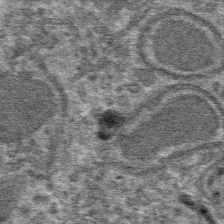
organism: Mouse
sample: Mouse hepatocytes